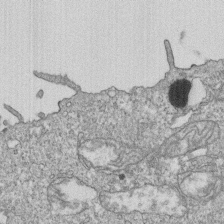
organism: Human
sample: HeLa cell HIV synapse